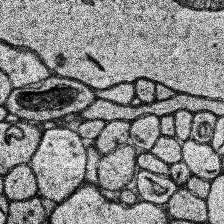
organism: Human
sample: Temporal Lobe